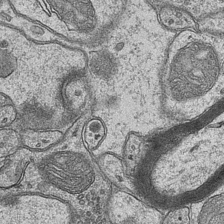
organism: Mouse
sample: CA1 Hippocampus